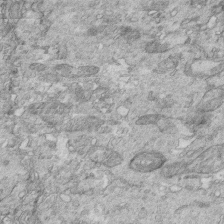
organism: Mouse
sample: Multiciliated cells